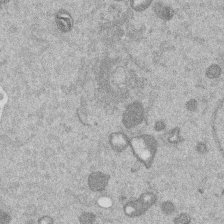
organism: Mouse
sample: Dividing mouse embryo 1 cell stage